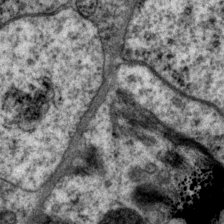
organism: P. pacificus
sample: Pharynx